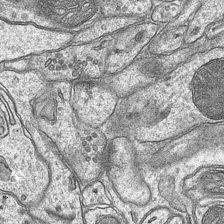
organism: Mouse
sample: CA1 Hippocampus